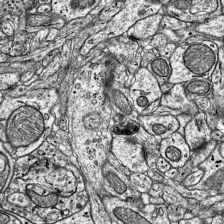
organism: Mouse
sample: Visual Cortex